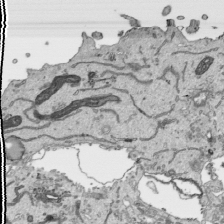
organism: Human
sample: Mitochondria in HCT116 cells